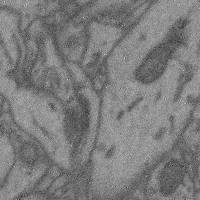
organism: Mouse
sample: Cerebral cortex